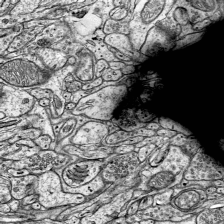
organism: Mouse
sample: Visual Cortex